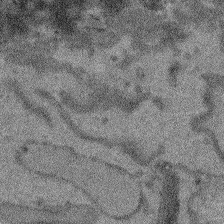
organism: Arabidopsis thaliana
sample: Root tip